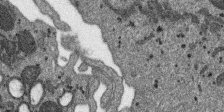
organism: Human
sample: Lung epithelial cells infected with SARS-CoV-2